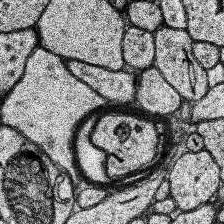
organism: Human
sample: Temporal Lobe